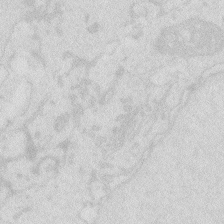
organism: Zebrafish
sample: Macrophage